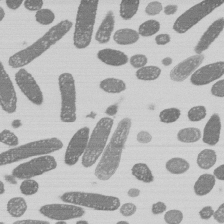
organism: E. coli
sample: Bacterial nucleoid